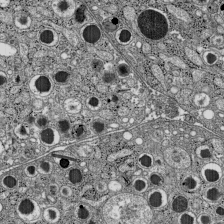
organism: C57BL Mouse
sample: Pancreatic islet